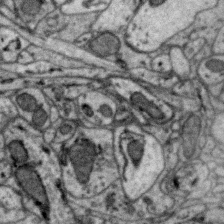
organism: Zebra finch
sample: Brain